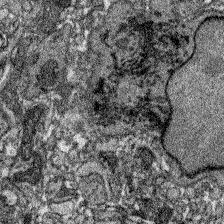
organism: Zebrafish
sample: Larval olfactory bulb